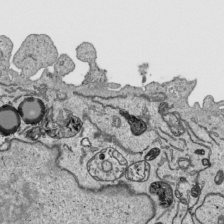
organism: Human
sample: Mitochondria in HCT116 cells